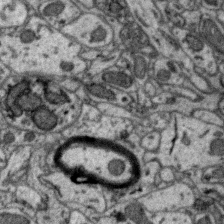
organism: Zebra finch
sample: Brain